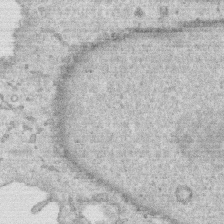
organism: Human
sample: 1205lu cells